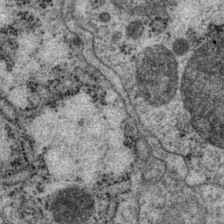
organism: P. pacificus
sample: Pharynx